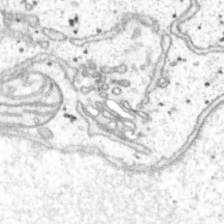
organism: Human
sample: HeLa cells